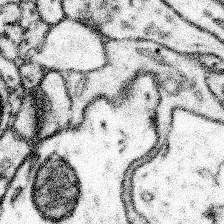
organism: Mouse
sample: Somatosensory cortex neuropil